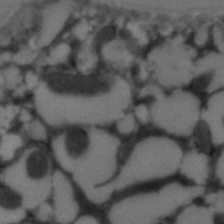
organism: C. elegans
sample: C. elegans embryo